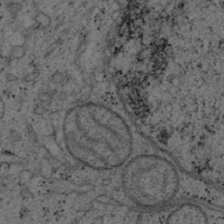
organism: Human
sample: HeLa cells